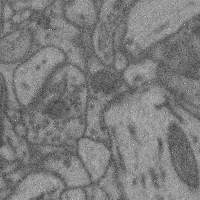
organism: Mouse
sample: Cerebral cortex